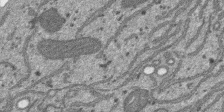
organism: Human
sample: Lung epithelial cells infected with SARS-CoV-2